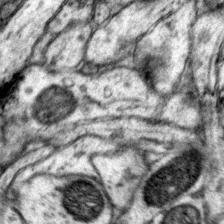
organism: Mouse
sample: Primary visual cortex